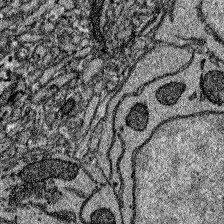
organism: Zebrafish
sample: Larval olfactory bulb